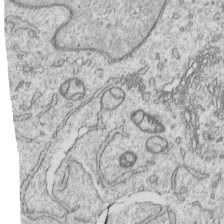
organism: Human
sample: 1205lu cells